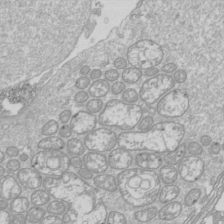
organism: Drosophila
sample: Cell division; meiosis; drosophila spermatocytes